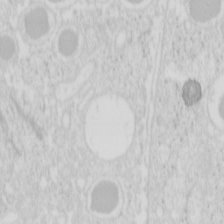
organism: Mouse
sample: Pancreas